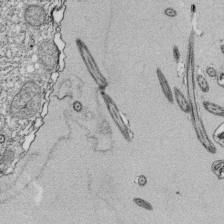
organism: Tetrahymena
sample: Cilia in tetrahymena